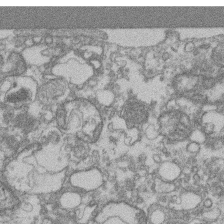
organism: Mouse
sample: T cell stromal cell synapse